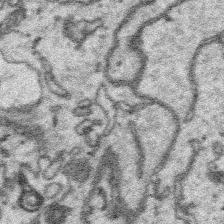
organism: Platynereis dumerilii